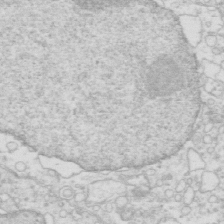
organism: Mouse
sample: Multiciliated cells